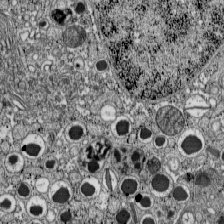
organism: C57BL Mouse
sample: Pancreatic islet